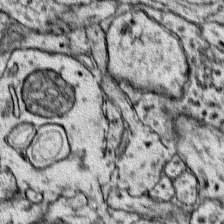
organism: Mouse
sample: Primary visual cortex